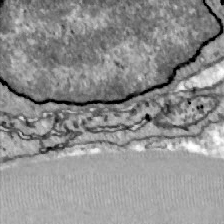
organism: Zebrafish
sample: Actinotrichia fibers